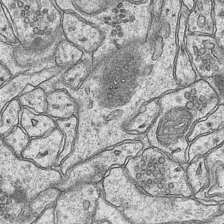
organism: Mouse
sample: CA1 Hippocampus